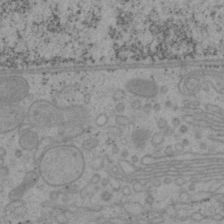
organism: Human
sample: HeLa cells